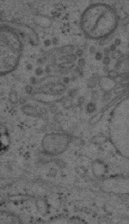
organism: Human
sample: HeLa cells